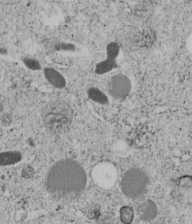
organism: C. elegans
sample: C. elegans embryo early stage